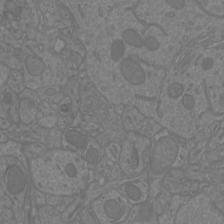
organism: Mouse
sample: Cortical neurons